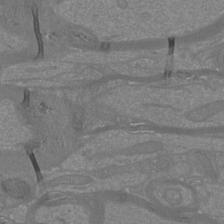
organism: Mouse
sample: Cortical neurons